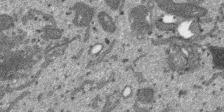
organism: Human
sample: Lung epithelial cells infected with SARS-CoV-2